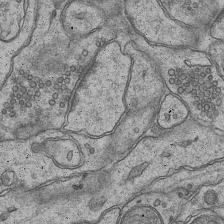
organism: Mouse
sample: CA1 Hippocampus